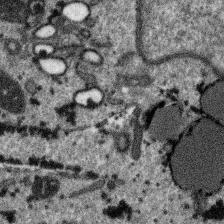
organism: Human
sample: Lung epithelial cells infected with SARS-CoV-2